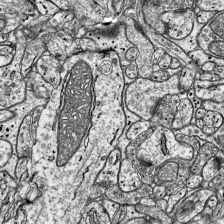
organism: Mouse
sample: Visual Cortex